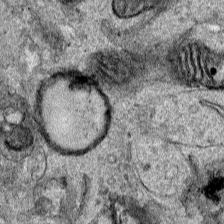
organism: Human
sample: Mitochondria in HCT116 cells